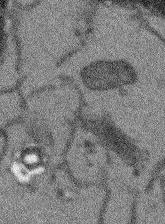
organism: Arabidopsis thaliana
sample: Root tip